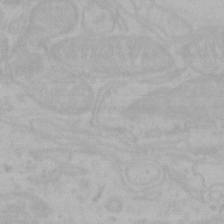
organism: Mouse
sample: Choroid plexus